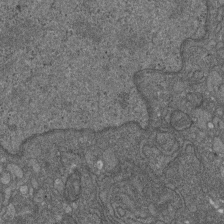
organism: Drosophila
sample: Nephrocyte